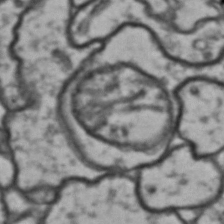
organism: Drosophila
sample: Brain